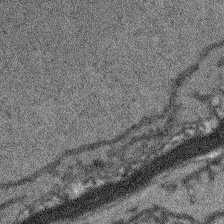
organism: Arabidopsis thaliana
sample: Root tip